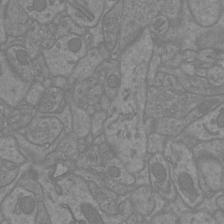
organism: Mouse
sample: Cortical neurons